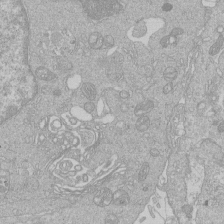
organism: Human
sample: Macrophage cells